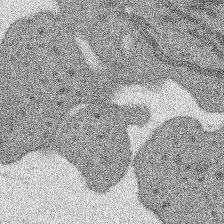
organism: Human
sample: HeLa cells